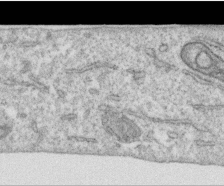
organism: Human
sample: Centriole in RPE cells